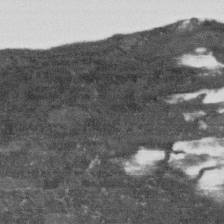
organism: Human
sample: Fibroblast cells